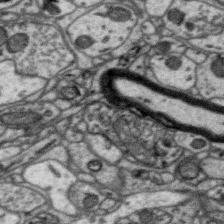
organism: Zebra finch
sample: Brain